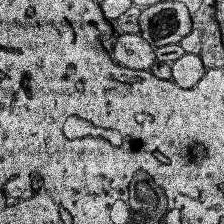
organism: Human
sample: Temporal Lobe